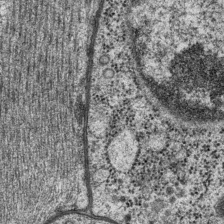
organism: P. pacificus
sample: Pharynx